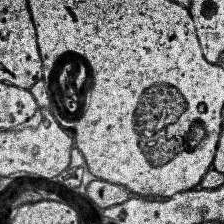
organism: Human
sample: Temporal Lobe